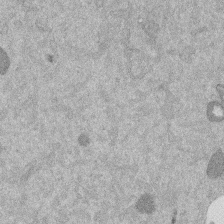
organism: Mouse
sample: Dividing mouse embryo 1 cell stage